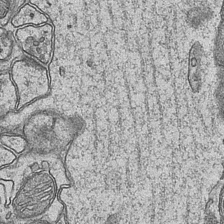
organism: Mouse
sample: CA1 Hippocampus